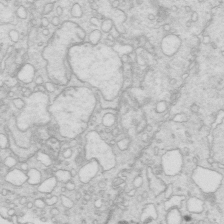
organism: Mouse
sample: Multiciliated cells